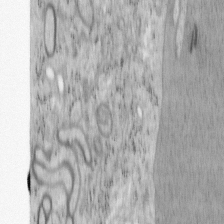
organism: Human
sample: HeLa cells